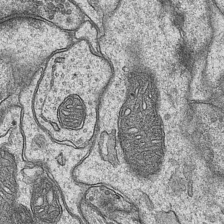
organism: Mouse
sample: CA1 Hippocampus